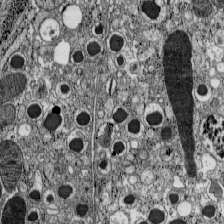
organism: C57BL Mouse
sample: Pancreatic islet